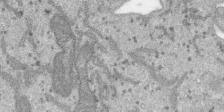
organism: Human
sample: Lung epithelial cells infected with SARS-CoV-2